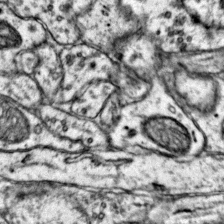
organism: Mouse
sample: Primary visual cortex